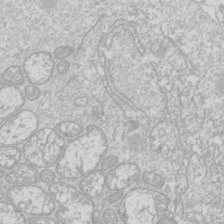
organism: Drosophila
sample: Cell division; meiosis; drosophila spermatocytes